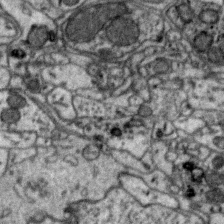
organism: Zebra finch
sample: Brain